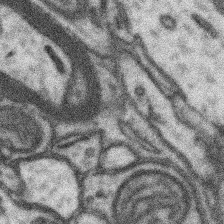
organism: Mouse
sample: Somatosensory cortex neuropil